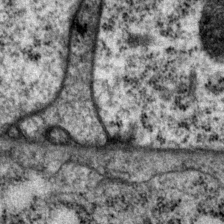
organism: P. pacificus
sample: Pharynx